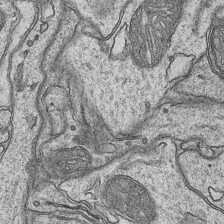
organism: Mouse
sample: CA1 Hippocampus